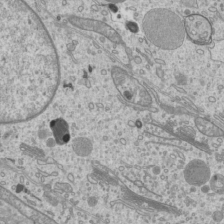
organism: Mouse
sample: Cilia; mouse epididymis